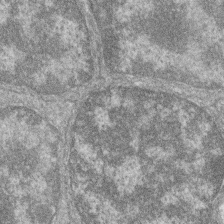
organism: Zebrafish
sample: Cilia; retinal pigment epithelium